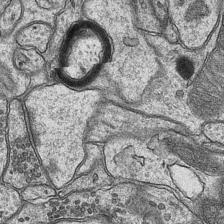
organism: Mouse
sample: CA1 Hippocampus